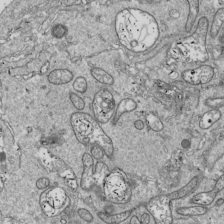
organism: Drosophila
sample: Cell division; meiosis; drosophila spermatocytes